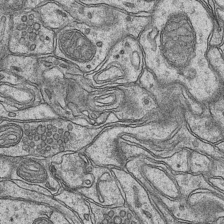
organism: Mouse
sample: CA1 Hippocampus